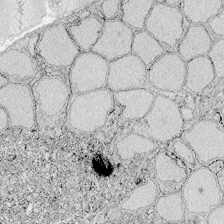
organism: Zebrafish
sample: Whole-Brain